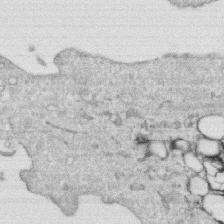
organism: Human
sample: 1205lu cells